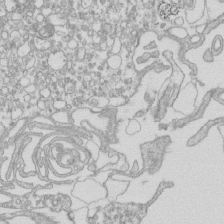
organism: Mouse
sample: Macrophages